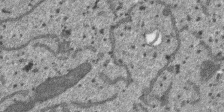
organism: Human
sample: Lung epithelial cells infected with SARS-CoV-2